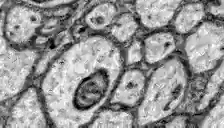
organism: Zebrafish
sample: Brain